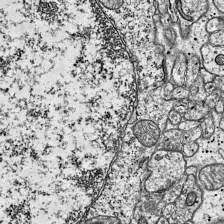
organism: Mouse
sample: Visual Cortex